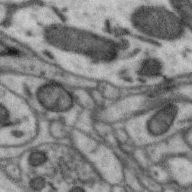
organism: Zebra finch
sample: Brain